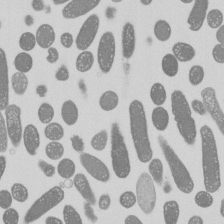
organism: E. coli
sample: Bacterial nucleoid